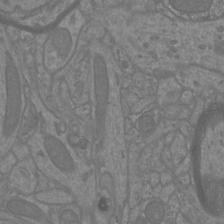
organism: Mouse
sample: Cortical neurons